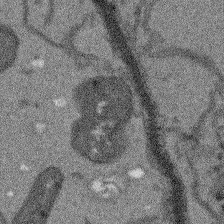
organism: Arabidopsis thaliana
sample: Root tip